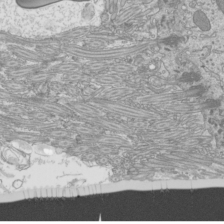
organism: Mouse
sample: Cilia; mouse epididymis